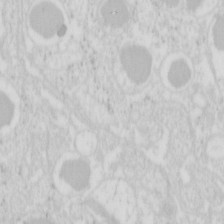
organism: Mouse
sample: Pancreas